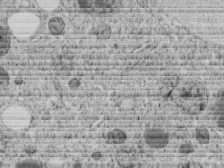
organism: C. elegans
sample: C. elegans embryo early stage